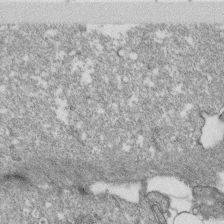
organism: African green monkey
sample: Vero E6 cells infected with SARS-CoV-2